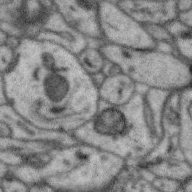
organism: Zebra finch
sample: Brain